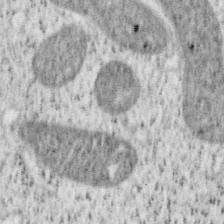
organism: Mouse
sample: OT-I killer T cells with ID8 ovarian cancer cells